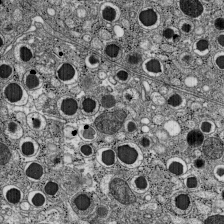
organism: C57BL Mouse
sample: Pancreatic islet